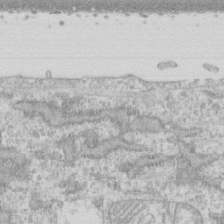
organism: Human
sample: CRL-1474